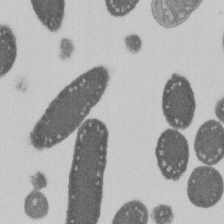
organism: E. coli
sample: Bacterial nucleoid